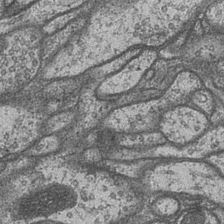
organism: Drosophila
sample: Optic medulla